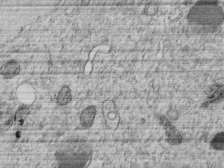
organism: C. elegans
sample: C. elegans embryo early stage